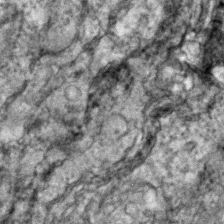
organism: Zebrafish